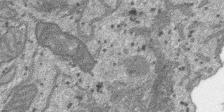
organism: Human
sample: Lung epithelial cells infected with SARS-CoV-2